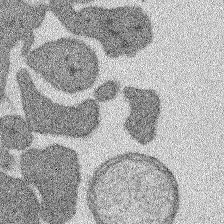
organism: Human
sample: HeLa cells